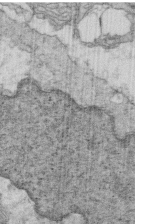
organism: Mouse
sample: Multiciliated cells